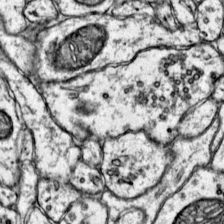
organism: Mouse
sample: Primary visual cortex